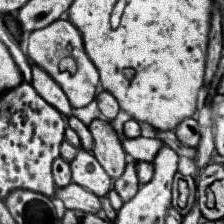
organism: Human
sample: Temporal Lobe